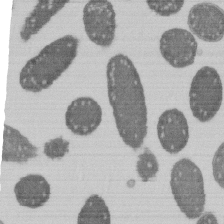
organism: E. coli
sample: Bacterial nucleoid